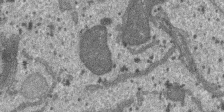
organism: Human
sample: Lung epithelial cells infected with SARS-CoV-2